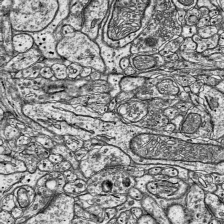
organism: Mouse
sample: Visual Cortex